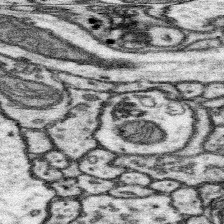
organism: Mouse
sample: Somatosensory cortex neuropil